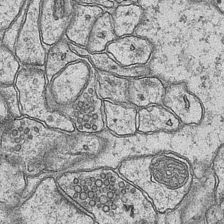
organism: Mouse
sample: CA1 Hippocampus